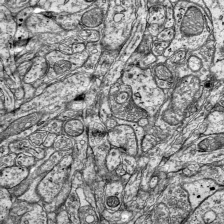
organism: Mouse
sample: Visual Cortex